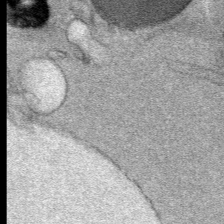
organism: Mouse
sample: Mouse Salivary gland